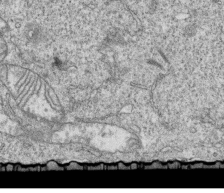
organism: Human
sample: HeLa cell HIV synapse